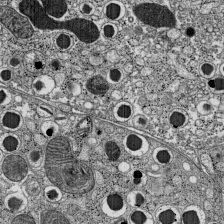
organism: C57BL Mouse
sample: Pancreatic islet